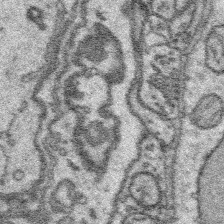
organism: Platynereis dumerilii